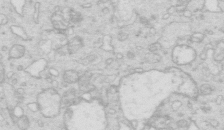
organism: Mouse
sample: Multiciliated cells